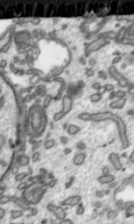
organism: Toxoplasma gondii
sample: Parasites in a vacuole inside a host cell